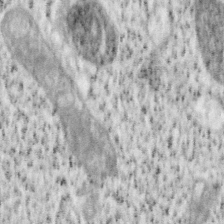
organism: Mouse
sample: OT-I killer T cells with ID8 ovarian cancer cells